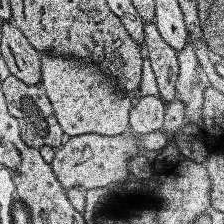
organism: Human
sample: Temporal Lobe